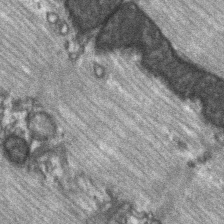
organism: C57BL Mouse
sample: Soleus